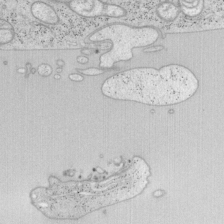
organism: Mouse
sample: OT-I killer T cells with ID8 ovarian cancer cells